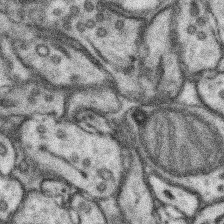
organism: Mouse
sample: Somatosensory cortex neuropil